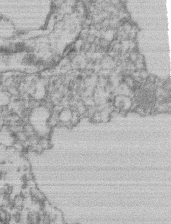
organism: Mouse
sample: T cell stromal cell synapse